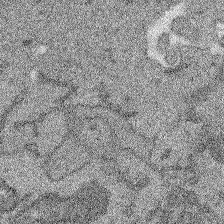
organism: Human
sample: HeLa cells